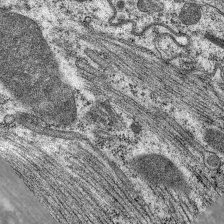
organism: C. elegans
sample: Pharynx